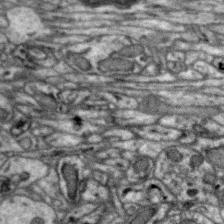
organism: Zebra finch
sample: Brain